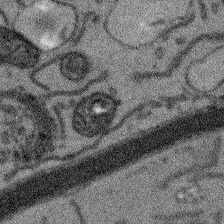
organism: Arabidopsis thaliana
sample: Root tip